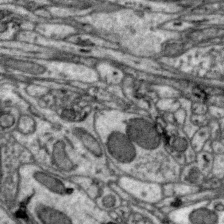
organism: Zebra finch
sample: Brain